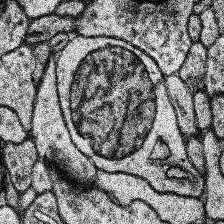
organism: Human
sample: Temporal Lobe